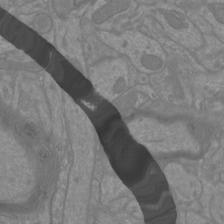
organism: Mouse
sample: Cortical neurons